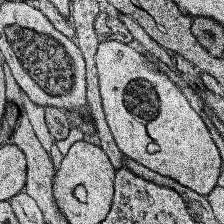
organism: Human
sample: Temporal Lobe